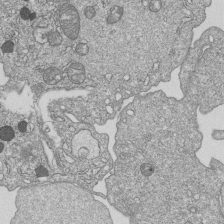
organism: Human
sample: MDA-MB-231 cells